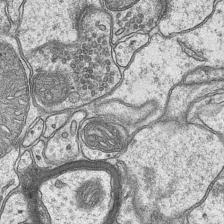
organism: Mouse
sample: CA1 Hippocampus